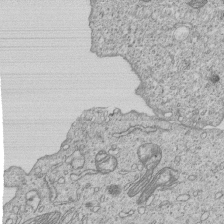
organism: Human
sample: MDA-MB-231 cells